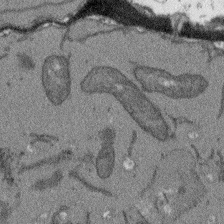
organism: Arabidopsis thaliana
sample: Root tip